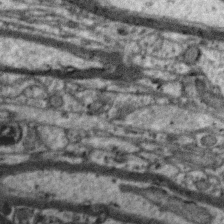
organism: Zebra finch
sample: Brain